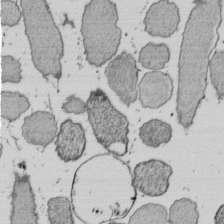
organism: E. coli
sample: Bacterial nucleoid